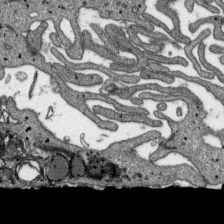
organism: Human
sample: Lung epithelial cells, uninfected (mock) control